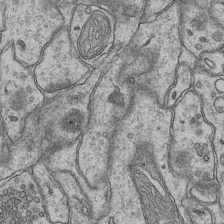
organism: Mouse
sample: CA1 Hippocampus